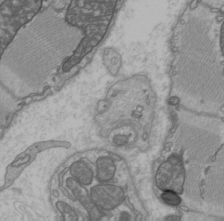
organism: C57BL Mouse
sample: Heart